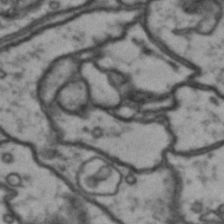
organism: Drosophila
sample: Brain